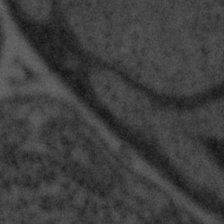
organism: Tuwongella immobilis